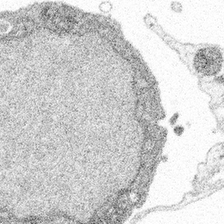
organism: Spongilla lacustris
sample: Multiple